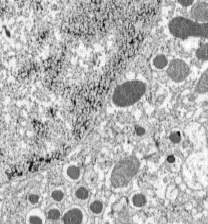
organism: C57BL Mouse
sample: Pancreatic islet